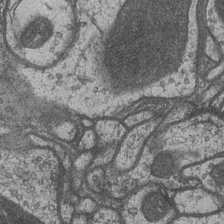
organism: Drosophila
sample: Optic medulla